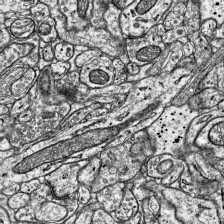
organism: Mouse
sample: Visual Cortex